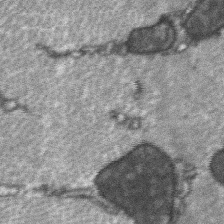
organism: C57BL Mouse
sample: Soleus